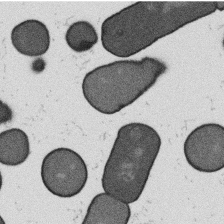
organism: B. subtilis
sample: Bacterial spore